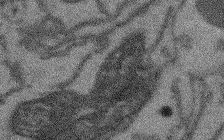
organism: Arabidopsis thaliana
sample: Root tip